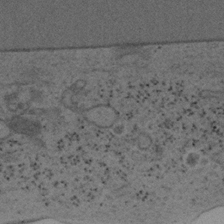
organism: Human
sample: HeLa cells